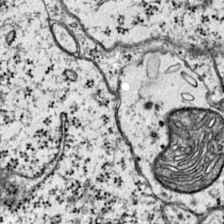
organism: Mouse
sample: Primary visual cortex